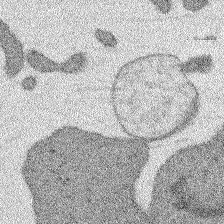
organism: Human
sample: HeLa cells